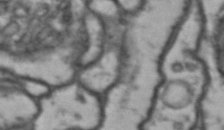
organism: Drosophila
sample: Brain